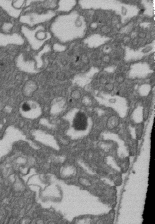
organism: Drosophila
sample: Nephrocyte